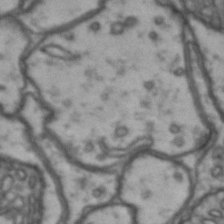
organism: Drosophila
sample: Brain